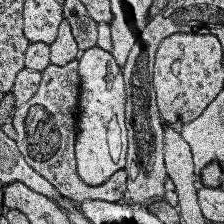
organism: Human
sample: Temporal Lobe